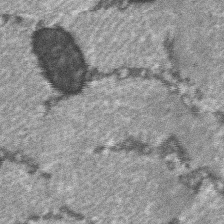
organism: C57BL Mouse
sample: Soleus